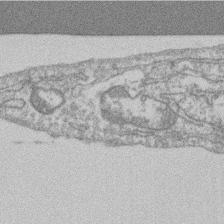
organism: Mouse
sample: T cell stromal cell synapse